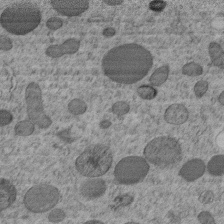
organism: C. elegans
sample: C. elegans embryo early stage